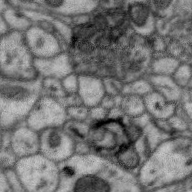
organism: Zebra finch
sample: Brain